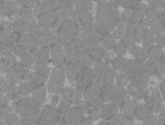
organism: C57BL Mouse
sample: Tibialis anterior muscle cell